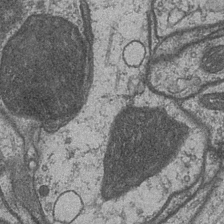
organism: Drosophila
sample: Optic medulla